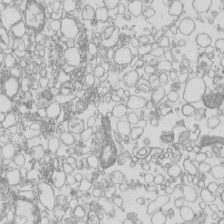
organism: Mouse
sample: Macrophages